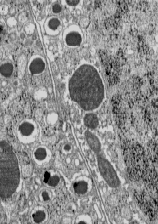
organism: C57BL Mouse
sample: Pancreatic islet